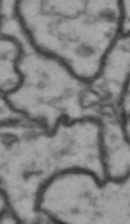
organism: Drosophila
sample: Brain